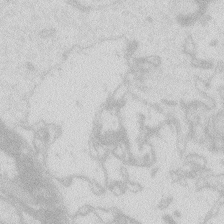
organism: Zebrafish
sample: Macrophage